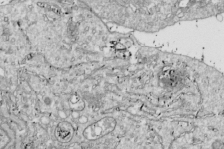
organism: Drosophila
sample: Cell division; meiosis; drosophila spermatocytes